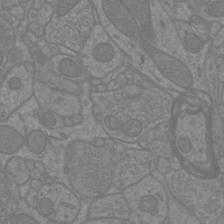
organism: Mouse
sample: Cortical neurons